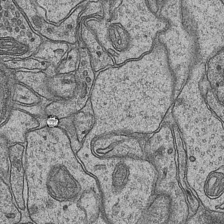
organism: Mouse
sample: CA1 Hippocampus